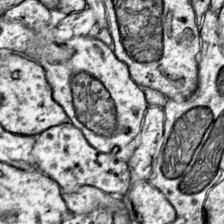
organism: Mouse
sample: Primary visual cortex